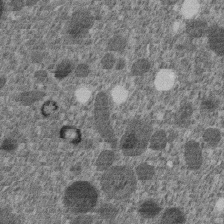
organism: C. elegans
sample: C. elegans embryo early stage